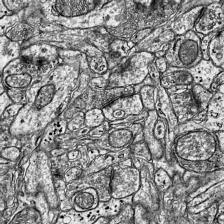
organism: Mouse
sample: Visual Cortex